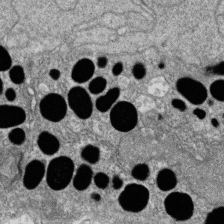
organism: Zebrafish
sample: Cilia; retinal pigment epithelium